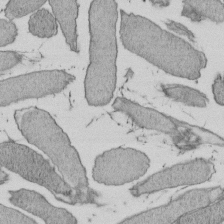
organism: E. coli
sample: Bacterial nucleoid